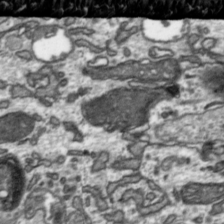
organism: Toxoplasma gondii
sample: Parasites in a vacuole inside a host cell